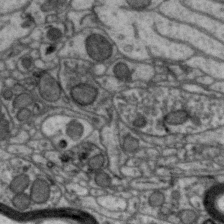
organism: Zebra finch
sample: Brain